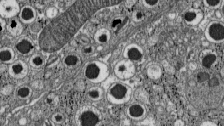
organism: C57BL Mouse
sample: Pancreatic islet